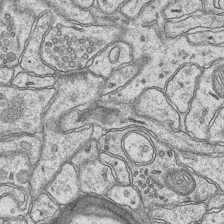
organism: Mouse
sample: CA1 Hippocampus